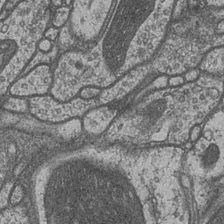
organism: Drosophila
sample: Optic medulla